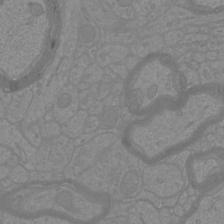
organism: Mouse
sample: Cortical neurons